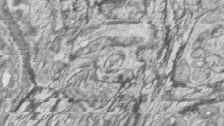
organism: Zebrafish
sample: synaptic ribbons in rod cells and cone cells